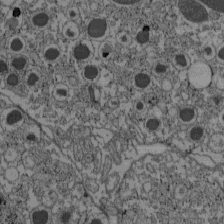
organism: C57BL Mouse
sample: Pancreatic islet